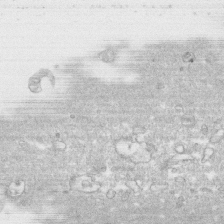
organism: Human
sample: CRL-1474